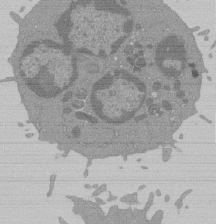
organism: Mouse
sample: Activated Pmel transgenic CD8+ T Cells